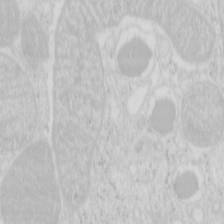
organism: Mouse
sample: Pancreas